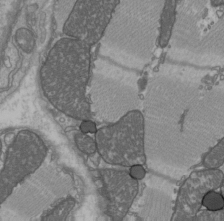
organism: C57BL Mouse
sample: Heart